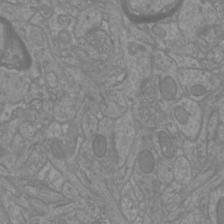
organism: Mouse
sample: Cortical neurons